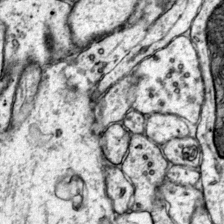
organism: Mouse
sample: Primary visual cortex